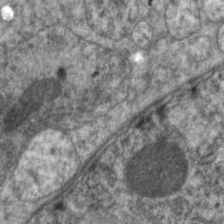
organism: C. elegans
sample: Pharynx